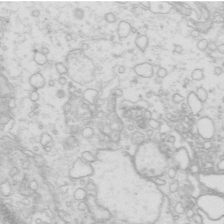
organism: Mouse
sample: Multiciliated cells